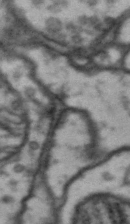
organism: Drosophila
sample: Brain